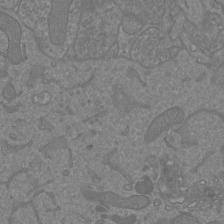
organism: Mouse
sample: Cortical neurons